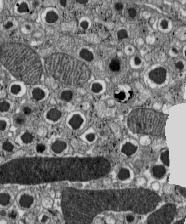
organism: C57BL Mouse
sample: Pancreatic islet